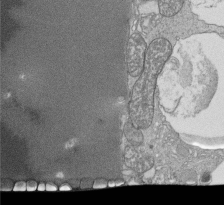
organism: Tetrahymena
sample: Cilia in tetrahymena